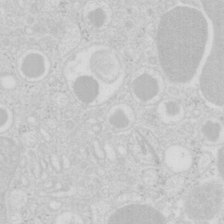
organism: Mouse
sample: Pancreas